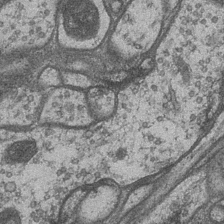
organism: Drosophila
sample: Optic medulla